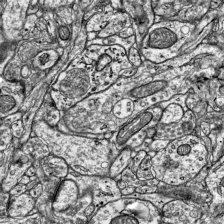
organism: Mouse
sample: Visual Cortex